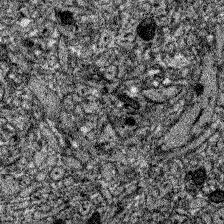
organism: Zebrafish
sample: Larval olfactory bulb